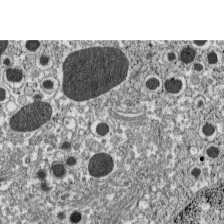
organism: C57BL Mouse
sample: Pancreatic islet